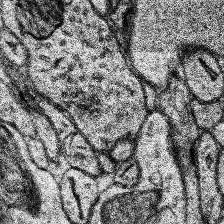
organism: Human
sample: Temporal Lobe